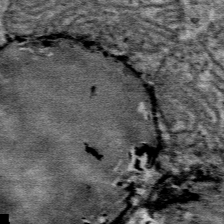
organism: Mouse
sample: Mouse Salivary gland